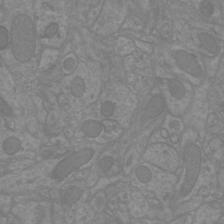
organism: Mouse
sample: Cortical neurons